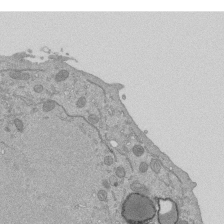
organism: Mouse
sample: ED-1 cell nuclei; centrioles